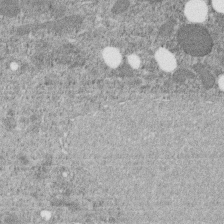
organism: C. elegans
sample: C. elegans embryo early stage